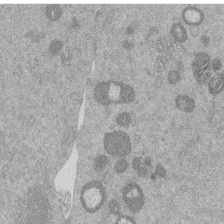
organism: Mouse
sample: Dividing mouse embryo 1 cell stage